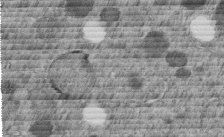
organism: C. elegans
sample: C. elegans embryo early stage